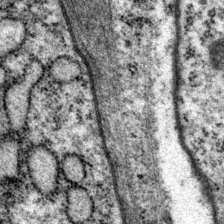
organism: P. pacificus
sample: Pharynx